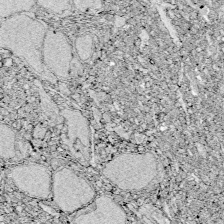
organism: Zebrafish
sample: Whole-Brain